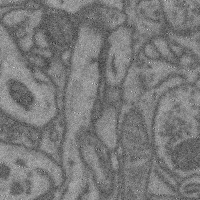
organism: Mouse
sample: Cerebral cortex